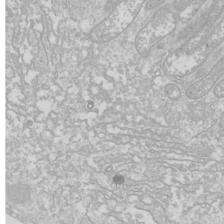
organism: Drosophila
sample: Cell division; meiosis; drosophila spermatocytes